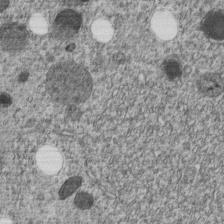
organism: C. elegans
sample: C. elegans embryo early stage